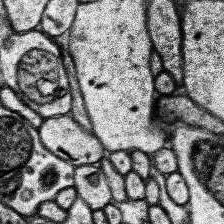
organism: Human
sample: Temporal Lobe